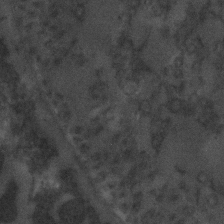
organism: C. elegans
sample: C. elegans embryo